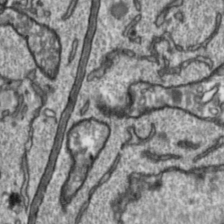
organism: Toxoplasma gondii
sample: Parasites in a vacuole inside a host cell